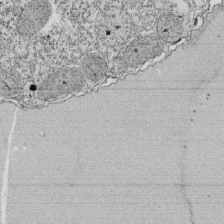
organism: Tetrahymena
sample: Cilia in tetrahymena